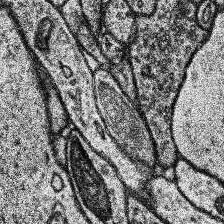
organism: Human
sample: Temporal Lobe